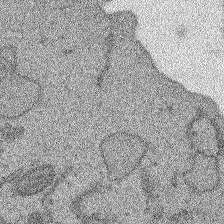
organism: Human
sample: HeLa cells